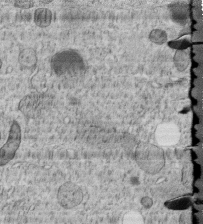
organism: C. elegans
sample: C. elegans embryo early stage